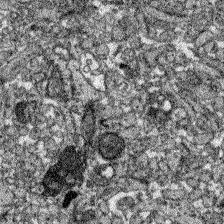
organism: Zebrafish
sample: Larval olfactory bulb